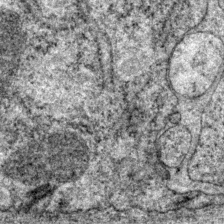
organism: P. pacificus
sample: Pharynx